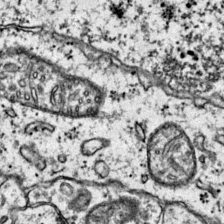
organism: Mouse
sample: Primary visual cortex